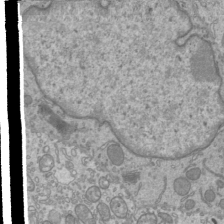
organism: Mouse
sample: Cilia; mouse epididymis